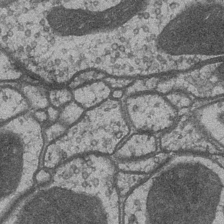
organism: Drosophila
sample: Optic medulla